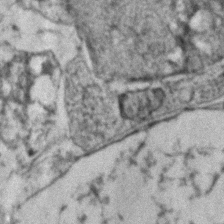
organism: Zebrafish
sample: Zebrafish embryo